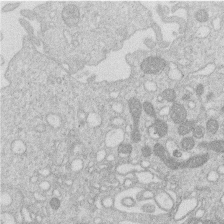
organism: Human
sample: Macrophage cells